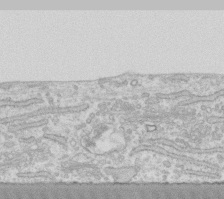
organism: Human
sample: Fibroblast cells